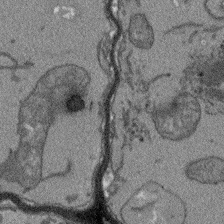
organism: Arabidopsis thaliana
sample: Root tip